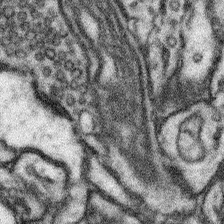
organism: Mouse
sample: Somatosensory cortex neuropil